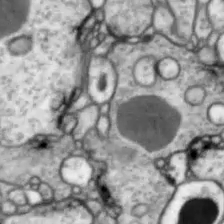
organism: Drosophila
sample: Optic lobe